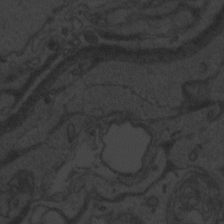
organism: Zebrafish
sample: Macrophage infected with Toxoplasma gondii